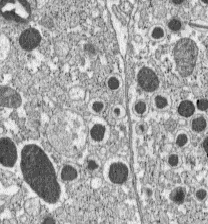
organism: C57BL Mouse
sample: Pancreatic islet